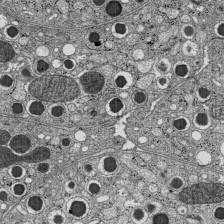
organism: C57BL Mouse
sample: Pancreatic islet